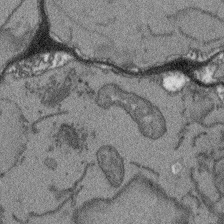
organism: Arabidopsis thaliana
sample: Root tip